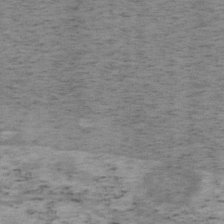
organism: Mouse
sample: OT-I killer T cells with ID8 ovarian cancer cells